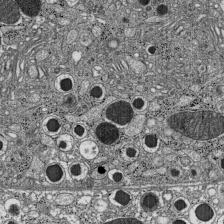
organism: C57BL Mouse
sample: Pancreatic islet